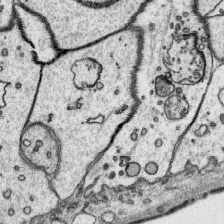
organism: Platynereis dumerilii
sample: Parapodia